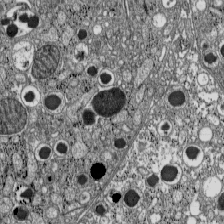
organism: C57BL Mouse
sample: Pancreatic islet